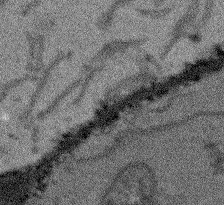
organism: Arabidopsis thaliana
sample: Root tip